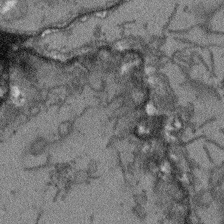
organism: Arabidopsis thaliana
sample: Root tip